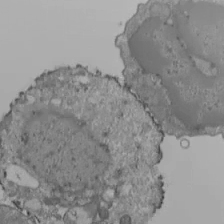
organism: Human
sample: Jurkat E6-1 and CD4 cells